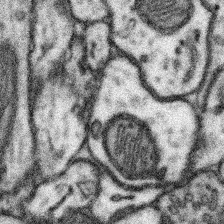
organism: Mouse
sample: Somatosensory cortex neuropil